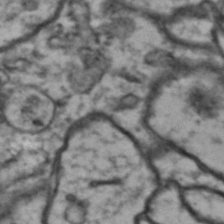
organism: Drosophila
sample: Brain